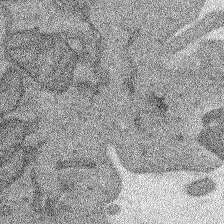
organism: Human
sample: HeLa cells